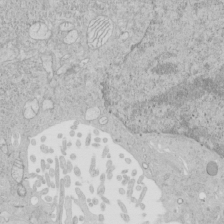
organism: Human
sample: Mitochondria in HCT116 cells